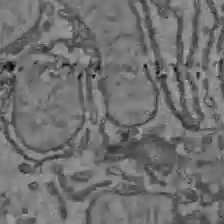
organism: C57BL Mouse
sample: Liver